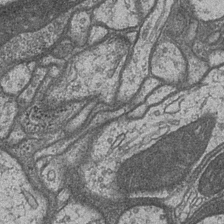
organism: Drosophila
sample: Optic medulla